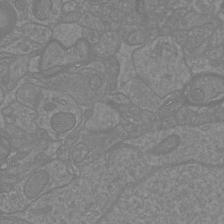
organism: Mouse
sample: Cortical neurons